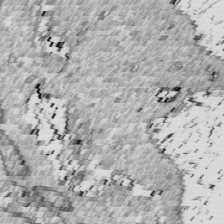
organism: Drosophila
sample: Cell division; meiosis; drosophila spermatocytes